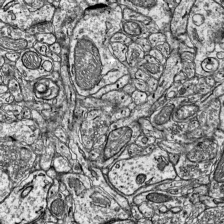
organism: Mouse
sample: Visual Cortex